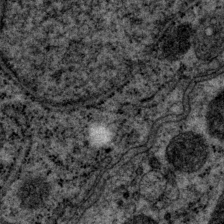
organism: P. pacificus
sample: Pharynx